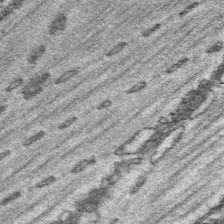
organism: Platynereis dumerilii